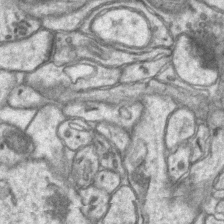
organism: Mouse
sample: CA1 Hippocampus